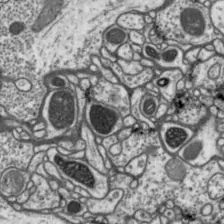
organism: Drosophila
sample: Protocerebral bridge